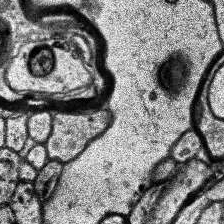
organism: Human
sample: Temporal Lobe